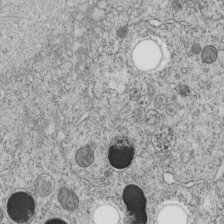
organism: C. elegans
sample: C. elegans embryo early stage